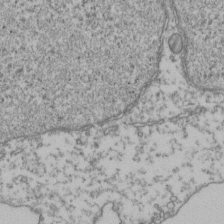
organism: Human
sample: Activated Jurkat CD4+ T cells